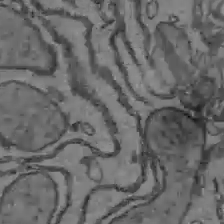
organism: C57BL Mouse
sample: Liver